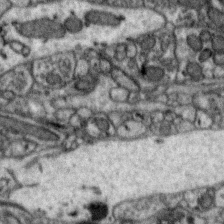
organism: Zebra finch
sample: Brain